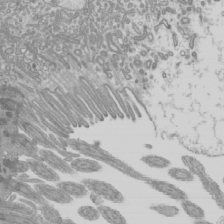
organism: Mouse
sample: Cilia; mouse epididymis